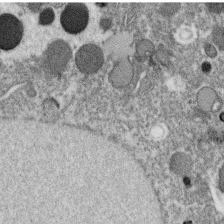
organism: C. elegans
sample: C. elegans oocyte; sperm cells